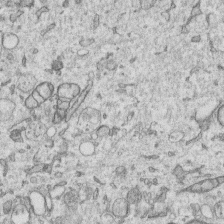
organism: Human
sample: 1205lu cells